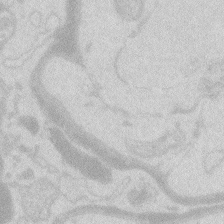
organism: Zebrafish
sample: Macrophage